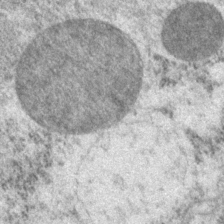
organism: P. pacificus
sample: Pharynx